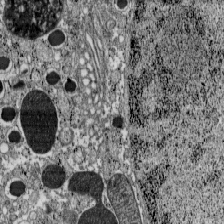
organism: C57BL Mouse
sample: Pancreatic islet